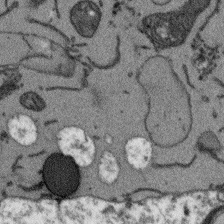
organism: Arabidopsis thaliana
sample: Root tip